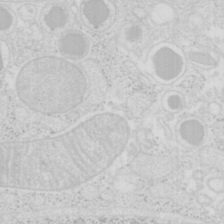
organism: Mouse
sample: Pancreas